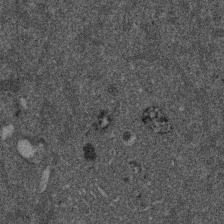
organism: Mouse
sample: Dividing mouse embryo 1 cell stage